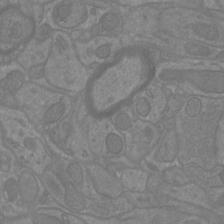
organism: Mouse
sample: Cortical neurons